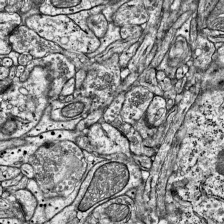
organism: Mouse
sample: Visual Cortex